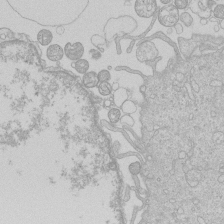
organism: Human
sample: Macrophage cells